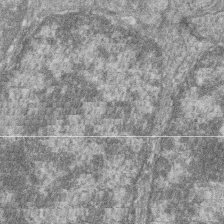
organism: Zebrafish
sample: Cilia; retinal pigment epithelium